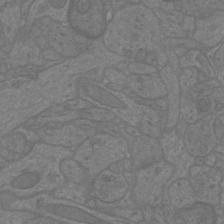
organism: Mouse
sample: Cortical neurons